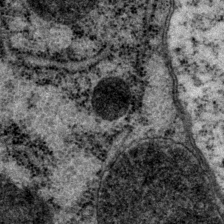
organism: P. pacificus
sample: Pharynx